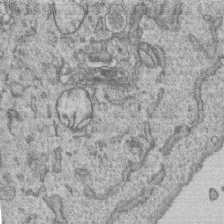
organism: Human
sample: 1205lu cells